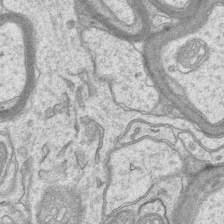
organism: Mouse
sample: CA1 Hippocampus